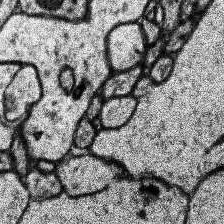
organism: Human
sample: Temporal Lobe